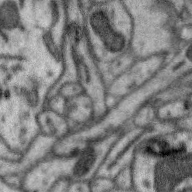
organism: Zebra finch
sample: Brain